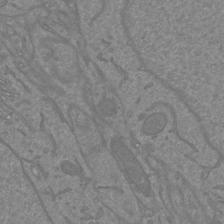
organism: Mouse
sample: Cortical neurons